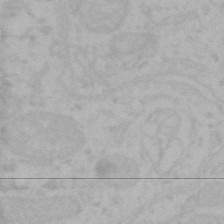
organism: Mouse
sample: Choroid plexus